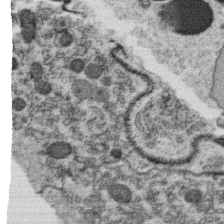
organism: C. elegans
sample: C. elegans oocyte; sperm cells